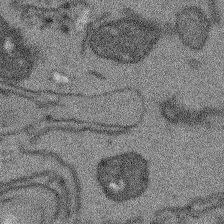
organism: Arabidopsis thaliana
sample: Root tip